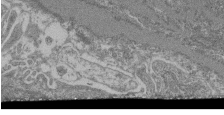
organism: Mouse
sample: Glomerulus